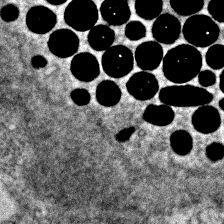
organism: Zebrafish